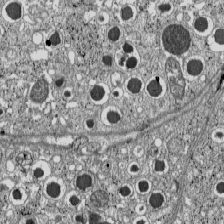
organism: C57BL Mouse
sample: Pancreatic islet